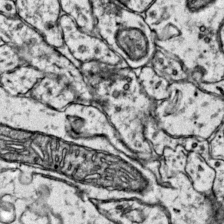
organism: Mouse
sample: Primary visual cortex